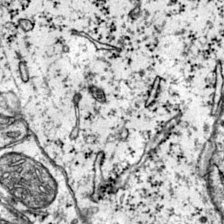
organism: Mouse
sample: Primary visual cortex